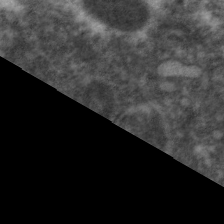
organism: C. elegans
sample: Pharynx